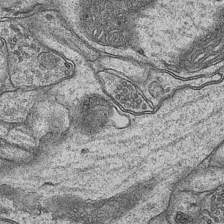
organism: Mouse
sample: CA1 Hippocampus